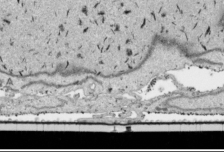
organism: Human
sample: Mitochondria in HCT116 cells